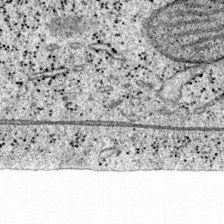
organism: Human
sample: HeLa cells